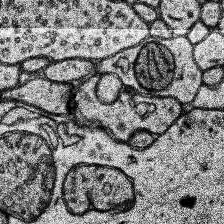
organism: Human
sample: Temporal Lobe